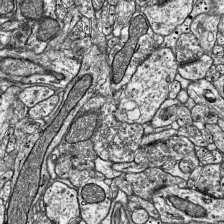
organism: Mouse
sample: Visual Cortex